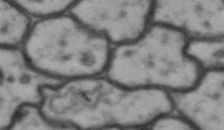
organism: Drosophila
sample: Brain